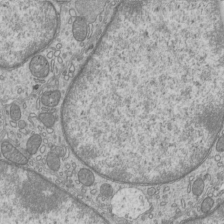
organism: Mouse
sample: Cilia; mouse epididymis